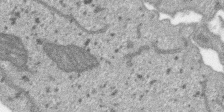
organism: Human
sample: Lung epithelial cells infected with SARS-CoV-2